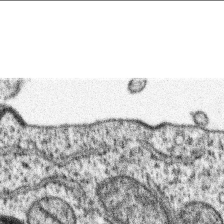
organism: Human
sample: HeLa cells